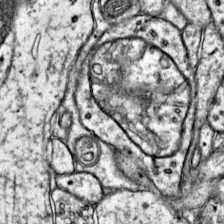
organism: Mouse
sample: Primary visual cortex